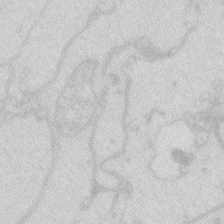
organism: Zebrafish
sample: Macrophage